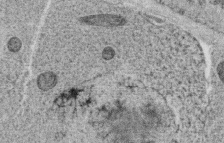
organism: C. elegans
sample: C. elegans oocyte; sperm cells